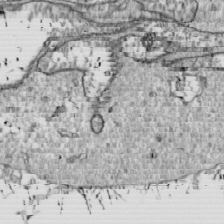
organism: Drosophila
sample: Cell division; meiosis; drosophila spermatocytes